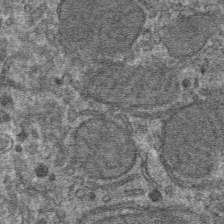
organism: Mouse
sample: Mouse hepatocytes